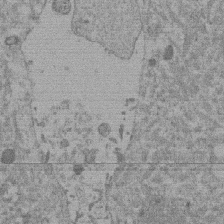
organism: Mouse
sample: Dividing mouse embryo 1 cell stage